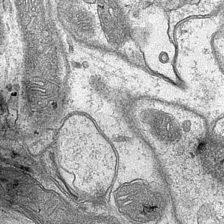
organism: Mouse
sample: CA1 Hippocampus